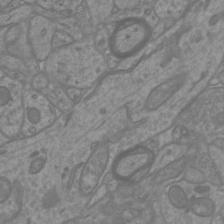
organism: Mouse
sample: Cortical neurons